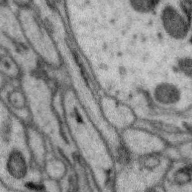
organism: Zebra finch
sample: Brain